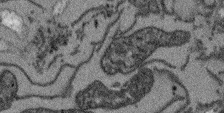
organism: Arabidopsis thaliana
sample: Root tip